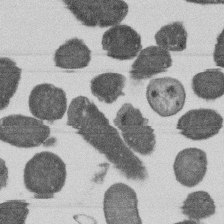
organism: E. coli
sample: Bacterial nucleoid